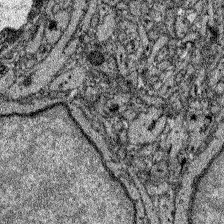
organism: Zebrafish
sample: Larval olfactory bulb